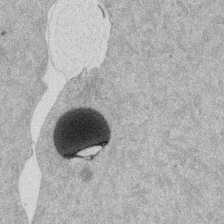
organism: Mouse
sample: Dividing mouse embryo 1 cell stage